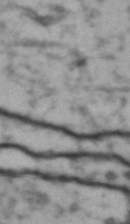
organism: Drosophila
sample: Brain